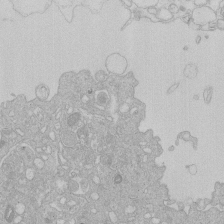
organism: Human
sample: Macrophage cells